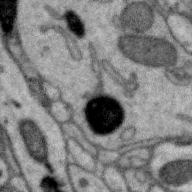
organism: Zebra finch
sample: Brain